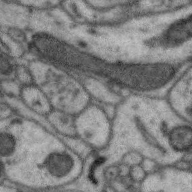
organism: Zebra finch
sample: Brain